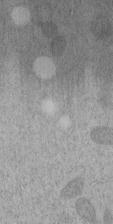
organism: C. elegans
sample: C. elegans embryo early stage